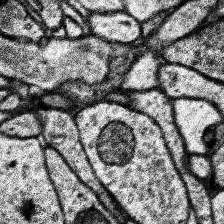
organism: Human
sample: Temporal Lobe